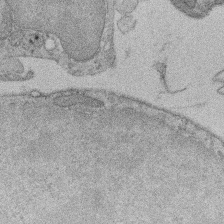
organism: Rat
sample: Salivary granule